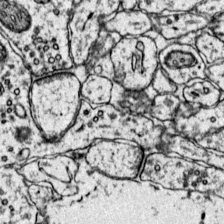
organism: Mouse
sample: Primary visual cortex